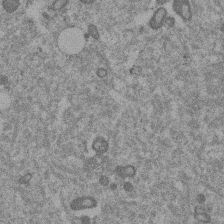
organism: Mouse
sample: Dividing mouse embryo 1 cell stage